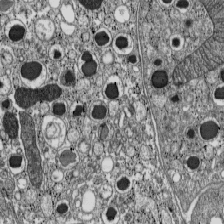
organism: C57BL Mouse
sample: Pancreatic islet